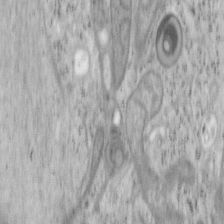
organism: Human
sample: HeLa cells